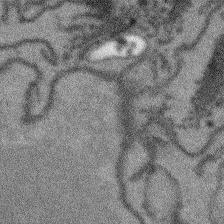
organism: Arabidopsis thaliana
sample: Root tip